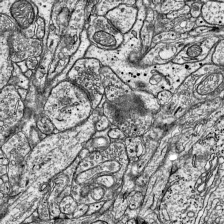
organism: Mouse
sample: Visual Cortex